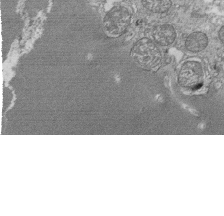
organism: Tetrahymena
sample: Cilia in tetrahymena